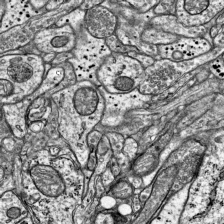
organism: Mouse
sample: Visual Cortex